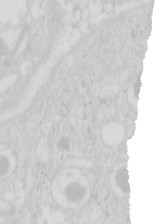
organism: Mouse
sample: Pancreas